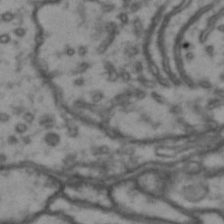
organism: Drosophila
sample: Brain